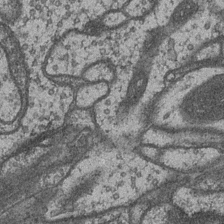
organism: Drosophila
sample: Optic medulla